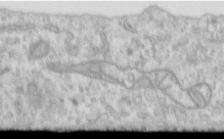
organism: Human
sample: Centriole in RPE cells